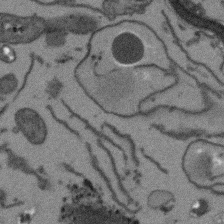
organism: Arabidopsis thaliana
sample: Root tip